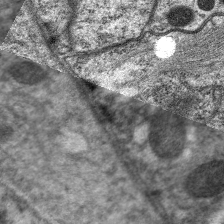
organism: C. elegans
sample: Pharynx